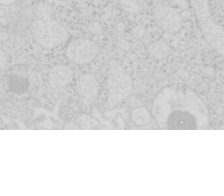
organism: Mouse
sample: Pancreas